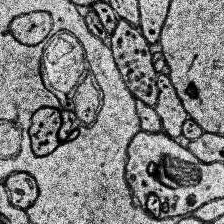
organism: Human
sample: Temporal Lobe